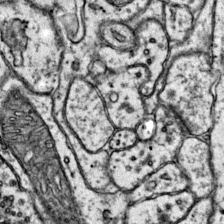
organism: Mouse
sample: Primary visual cortex